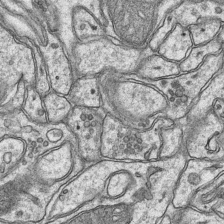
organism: Mouse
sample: CA1 Hippocampus